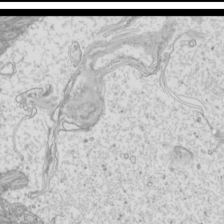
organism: Mouse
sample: Cilia; mouse epididymis